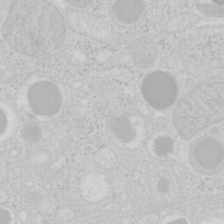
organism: Mouse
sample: Pancreas